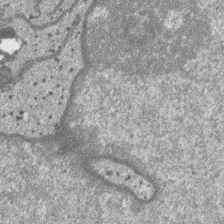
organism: Human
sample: Lung epithelial cells infected with SARS-CoV-2